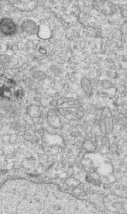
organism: Human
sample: HeLa cell HIV synapse